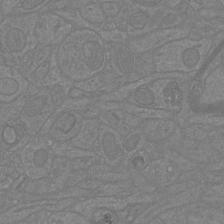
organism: Mouse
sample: Cortical neurons